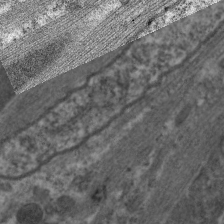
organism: C. elegans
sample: Pharynx